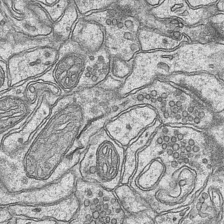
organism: Mouse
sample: CA1 Hippocampus